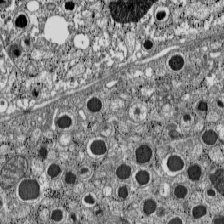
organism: C57BL Mouse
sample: Pancreatic islet